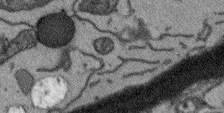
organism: Arabidopsis thaliana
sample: Root tip